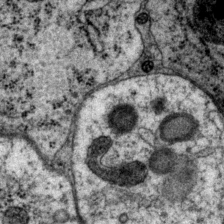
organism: P. pacificus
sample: Pharynx